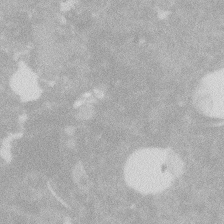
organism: Zebrafish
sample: Macrophage